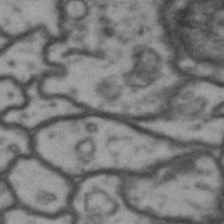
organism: Drosophila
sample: Brain